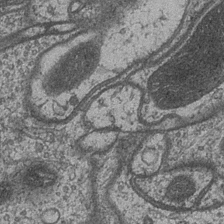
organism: Drosophila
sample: Optic medulla